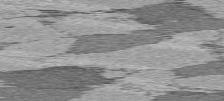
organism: C57BL Mouse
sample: Heart